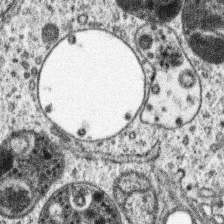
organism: Human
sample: HeLa cells